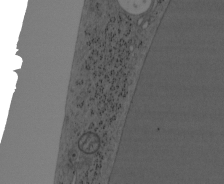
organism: Mouse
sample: OT-I killer T cells with ID8 ovarian cancer cells